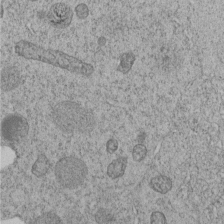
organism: C. elegans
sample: C. elegans embryo early stage